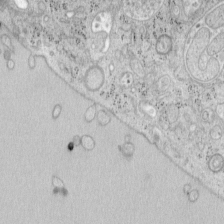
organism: Mouse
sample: OT-I killer T cells with ID8 ovarian cancer cells